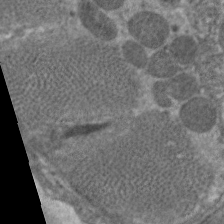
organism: C. elegans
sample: Pharynx